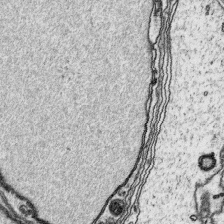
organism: Platynereis dumerilii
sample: Parapodia